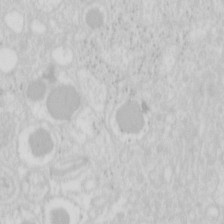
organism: Mouse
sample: Pancreas